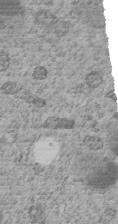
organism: C. elegans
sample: C. elegans embryo early stage